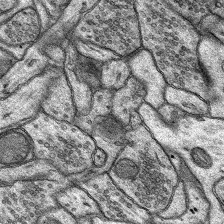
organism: Rat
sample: Hippocampus